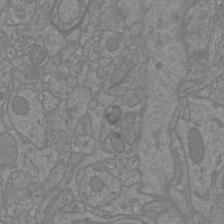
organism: Mouse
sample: Cortical neurons